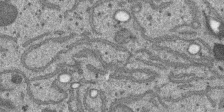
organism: Human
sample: Lung epithelial cells infected with SARS-CoV-2